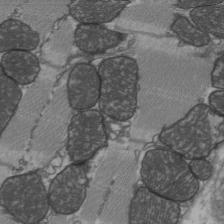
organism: C57BL Mouse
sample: Heart